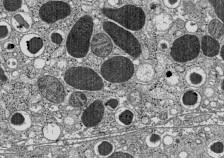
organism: C57BL Mouse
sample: Pancreatic islet